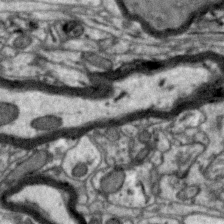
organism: Zebra finch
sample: Brain